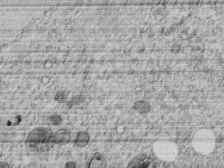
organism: C. elegans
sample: C. elegans embryo early stage